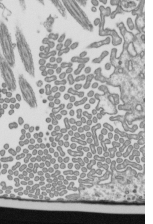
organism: Mouse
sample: Mouse epididymis efferent ductule cilia